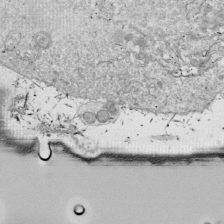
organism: Drosophila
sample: Cell division; meiosis; drosophila spermatocytes